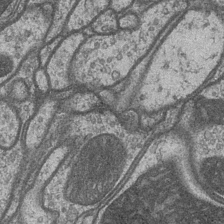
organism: Drosophila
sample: Optic medulla